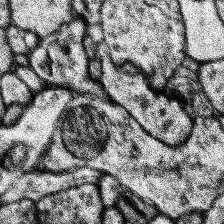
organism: Human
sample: Temporal Lobe